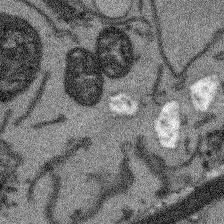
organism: Arabidopsis thaliana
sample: Root tip